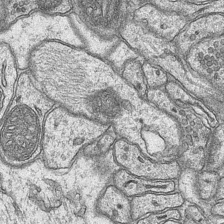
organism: Mouse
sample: CA1 Hippocampus